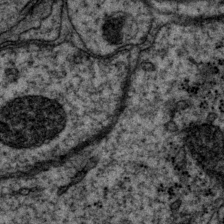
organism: P. pacificus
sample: Pharynx